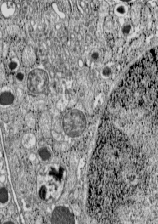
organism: C57BL Mouse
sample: Pancreatic islet